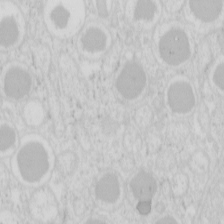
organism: Mouse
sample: Pancreas